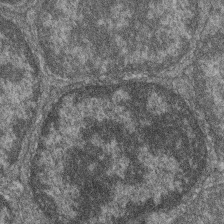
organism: Zebrafish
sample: Cilia; retinal pigment epithelium